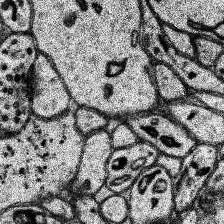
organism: Human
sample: Temporal Lobe